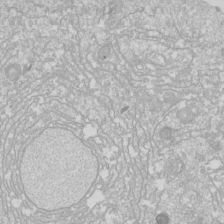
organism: Drosophila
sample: Cell division; meiosis; drosophila spermatocytes